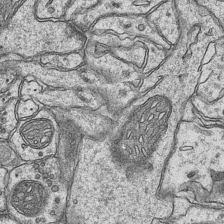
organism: Mouse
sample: CA1 Hippocampus